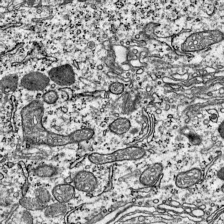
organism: Mouse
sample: Visual Cortex